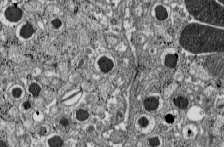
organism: C57BL Mouse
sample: Pancreatic islet